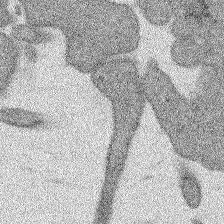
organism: Human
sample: HeLa cells